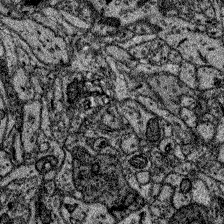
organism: Zebrafish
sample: Larval olfactory bulb